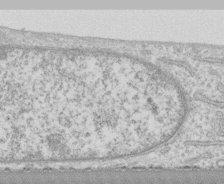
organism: Human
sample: CRL-1474